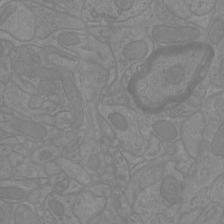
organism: Mouse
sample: Cortical neurons